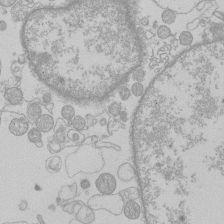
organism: Human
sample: Macrophage cells